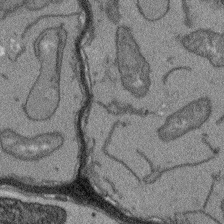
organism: Arabidopsis thaliana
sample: Root tip